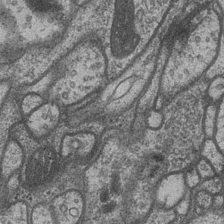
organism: Drosophila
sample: Optic medulla